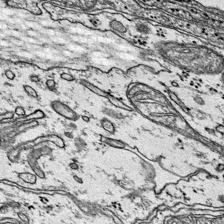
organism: Mouse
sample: Primary visual cortex